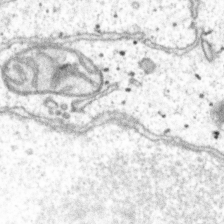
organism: Human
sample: HeLa cells